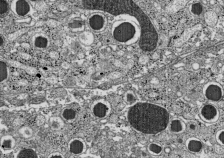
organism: C57BL Mouse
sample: Pancreatic islet